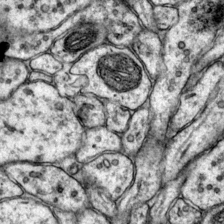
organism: Mouse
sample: Primary visual cortex